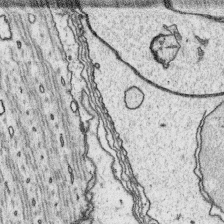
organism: Platynereis dumerilii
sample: Parapodia